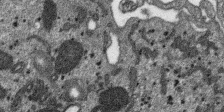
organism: Human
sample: Lung epithelial cells infected with SARS-CoV-2